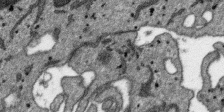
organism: Human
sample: Lung epithelial cells, uninfected (mock) control